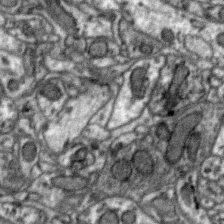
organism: Zebra finch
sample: Brain